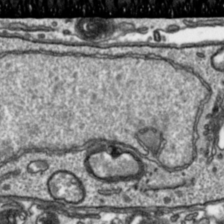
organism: Toxoplasma gondii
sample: Parasites in a vacuole inside a host cell